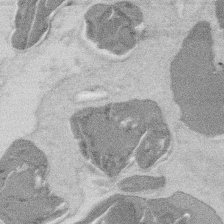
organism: Mouse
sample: T cell stromal cell synapse